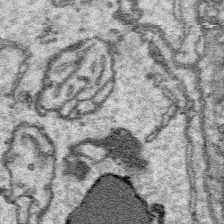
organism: Platynereis dumerilii